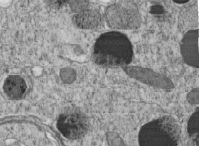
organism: C. elegans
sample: C. elegans embryo early stage